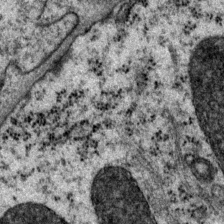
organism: P. pacificus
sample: Pharynx